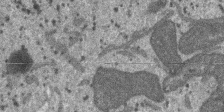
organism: Human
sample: Lung epithelial cells infected with SARS-CoV-2